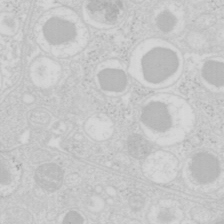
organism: Mouse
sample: Pancreas